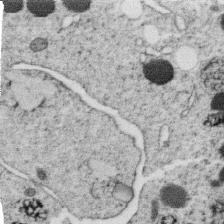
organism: C. elegans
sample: C. elegans oocyte; sperm cells